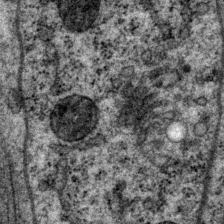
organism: P. pacificus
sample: Pharynx